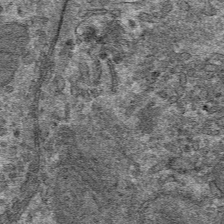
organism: Mouse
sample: Mouse hepatocytes